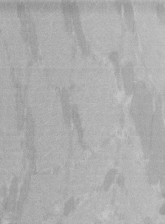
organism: C57BL Mouse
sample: Tibialis anterior muscle cell